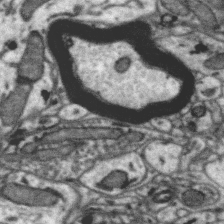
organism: Zebra finch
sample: Brain